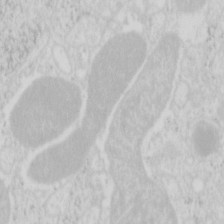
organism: Mouse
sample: Pancreas